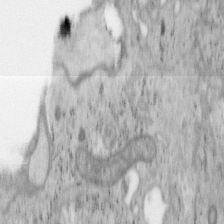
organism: Human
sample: HeLa cells